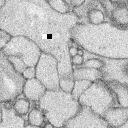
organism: Rabbit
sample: Retina